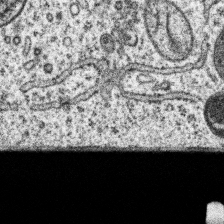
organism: Human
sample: HeLa cells